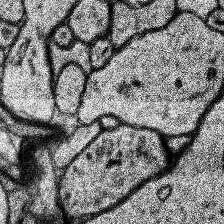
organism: Human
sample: Temporal Lobe